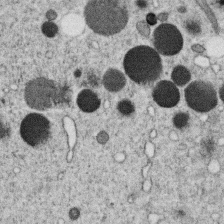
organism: C. elegans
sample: C. elegans oocyte; sperm cells